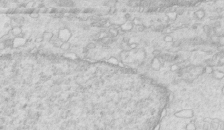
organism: Mouse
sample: Multiciliated cells